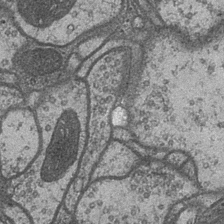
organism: Drosophila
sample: Optic medulla